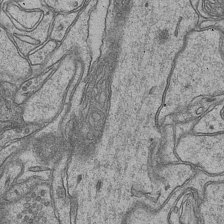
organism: Mouse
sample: CA1 Hippocampus